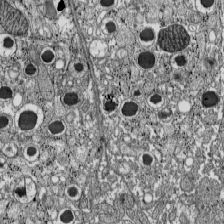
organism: C57BL Mouse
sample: Pancreatic islet